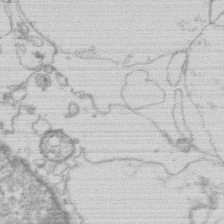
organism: Human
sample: Macrophage cells